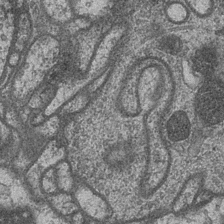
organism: Drosophila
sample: Optic medulla